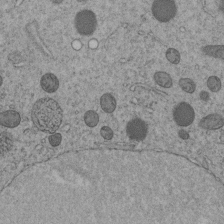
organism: C. elegans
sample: C. elegans embryo early stage